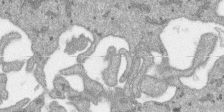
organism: Human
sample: Lung epithelial cells infected with SARS-CoV-2